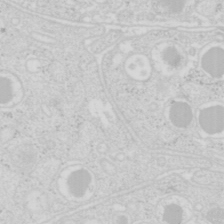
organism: Mouse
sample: Pancreas